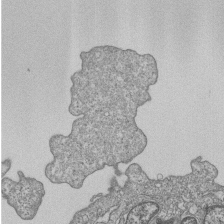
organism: Human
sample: MDA-MB-231 cells